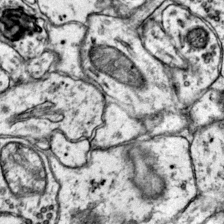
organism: Mouse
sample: Primary visual cortex